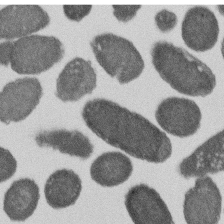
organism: E. coli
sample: Bacterial nucleoid